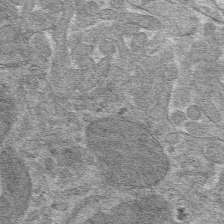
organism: Mouse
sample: Mouse hepatocytes